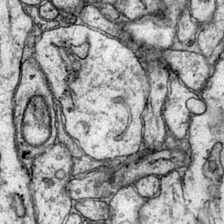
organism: Mouse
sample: Primary visual cortex